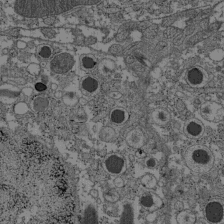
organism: C57BL Mouse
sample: Pancreatic islet